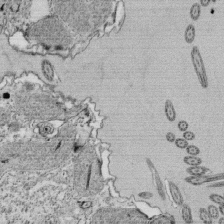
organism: Tetrahymena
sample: Cilia in tetrahymena